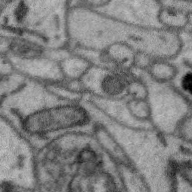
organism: Zebra finch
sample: Brain